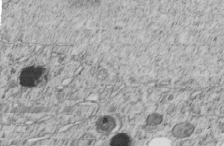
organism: C. elegans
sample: C. elegans embryo early stage